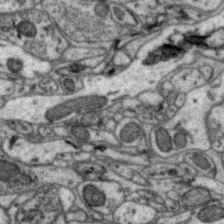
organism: Zebra finch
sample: Brain